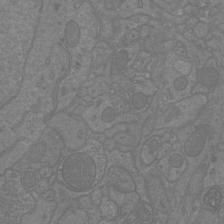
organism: Mouse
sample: Cortical neurons